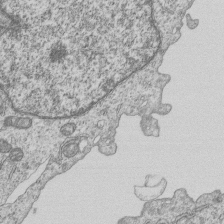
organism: Human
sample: MDA-MB-231 cells